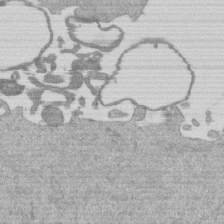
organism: Mouse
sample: Dividing mouse embryo 1 cell stage